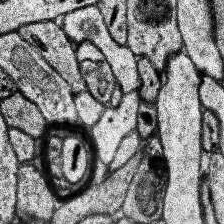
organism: Human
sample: Temporal Lobe